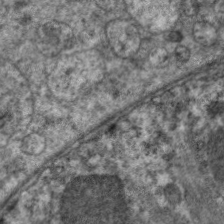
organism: C. elegans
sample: Pharynx